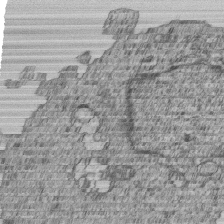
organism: Human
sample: MDA-MB-231 cells